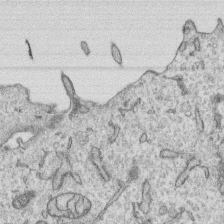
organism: Human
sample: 1205lu cells